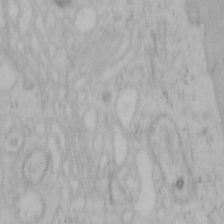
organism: Mouse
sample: OT-I killer T cells with ID8 ovarian cancer cells